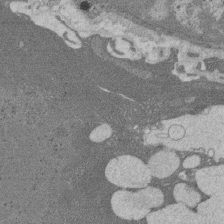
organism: Rat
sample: Salivary granule